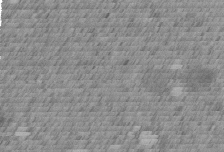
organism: C. elegans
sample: C. elegans embryo early stage